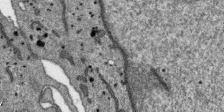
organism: Human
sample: Lung epithelial cells, uninfected (mock) control